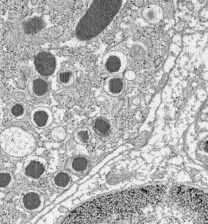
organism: C57BL Mouse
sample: Pancreatic islet